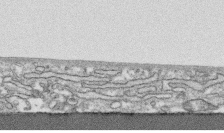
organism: Human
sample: CRL-1474